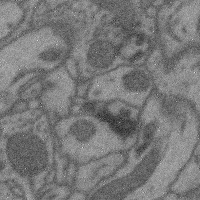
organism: Mouse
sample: Cerebral cortex